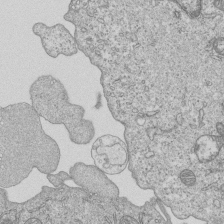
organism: Human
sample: MDA-MB-231 cells